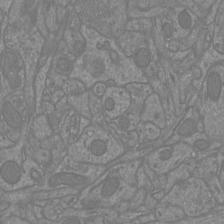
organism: Mouse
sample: Cortical neurons